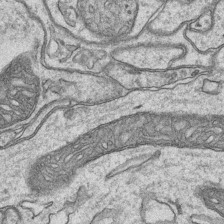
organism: Mouse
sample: CA1 Hippocampus